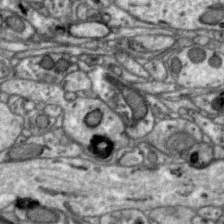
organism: Zebra finch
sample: Brain